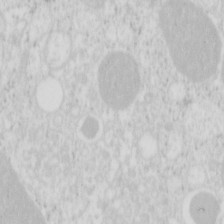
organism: Mouse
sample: Pancreas